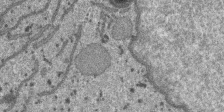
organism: Human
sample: Lung epithelial cells infected with SARS-CoV-2